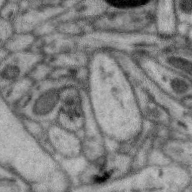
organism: Zebra finch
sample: Brain